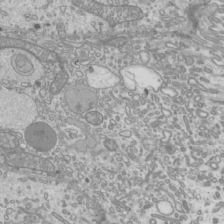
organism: Mouse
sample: Cilia; mouse epididymis